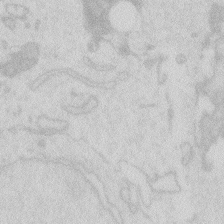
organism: Zebrafish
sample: Macrophage